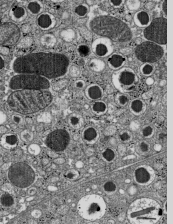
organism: C57BL Mouse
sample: Pancreatic islet